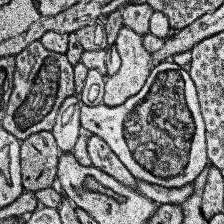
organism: Human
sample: Temporal Lobe